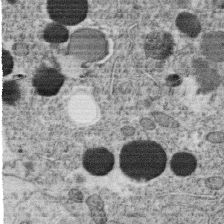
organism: C. elegans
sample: C. elegans oocyte; sperm cells